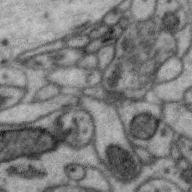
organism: Zebra finch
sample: Brain